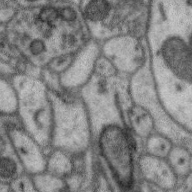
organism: Zebra finch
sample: Brain